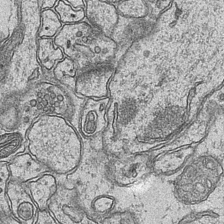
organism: Mouse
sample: CA1 Hippocampus